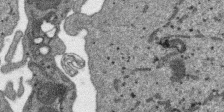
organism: Human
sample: Lung epithelial cells infected with SARS-CoV-2